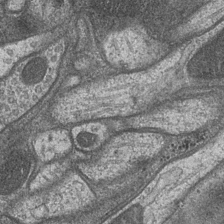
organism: Drosophila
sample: Optic medulla